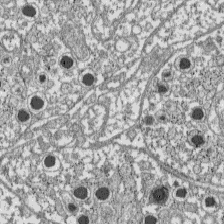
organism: C57BL Mouse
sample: Pancreatic islet